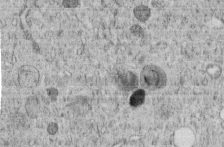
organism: C. elegans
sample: C. elegans embryo early stage